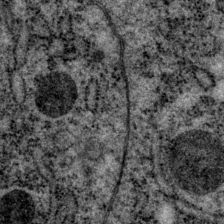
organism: P. pacificus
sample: Pharynx